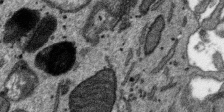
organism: Human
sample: Lung epithelial cells, uninfected (mock) control